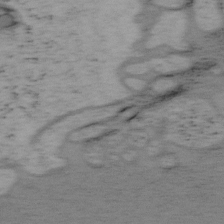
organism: Mouse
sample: OT-I killer T cells with ID8 ovarian cancer cells